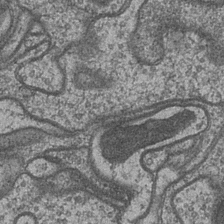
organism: Drosophila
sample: Optic medulla